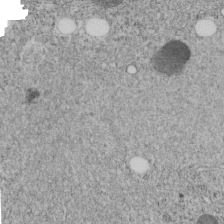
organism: C. elegans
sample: C. elegans embryo early stage